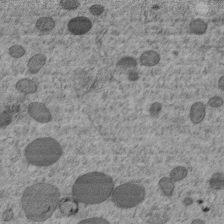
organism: C. elegans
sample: C. elegans embryo early stage